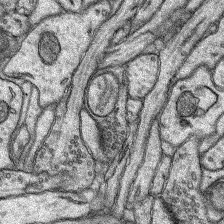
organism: Rat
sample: Hippocampus